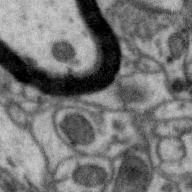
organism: Zebra finch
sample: Brain